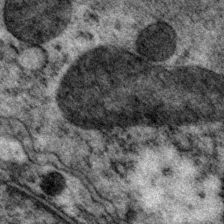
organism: P. pacificus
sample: Pharynx